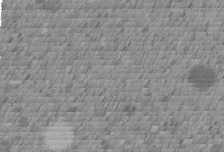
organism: C. elegans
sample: C. elegans embryo early stage